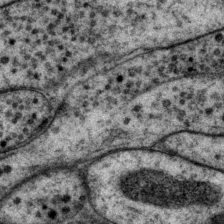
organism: P. pacificus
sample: Pharynx